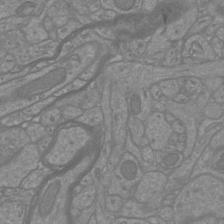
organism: Mouse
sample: Cortical neurons